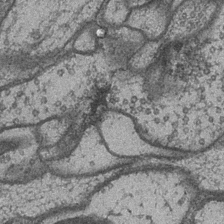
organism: Drosophila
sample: Optic medulla